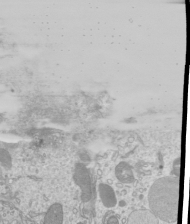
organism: Mouse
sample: Cilia; mouse epididymis